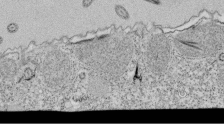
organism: Tetrahymena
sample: Cilia in tetrahymena